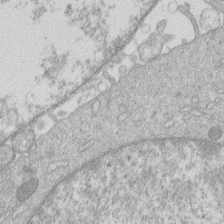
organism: Human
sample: Macrophage cells